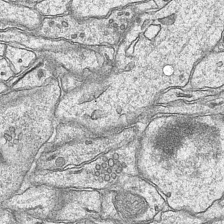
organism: Mouse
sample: CA1 Hippocampus